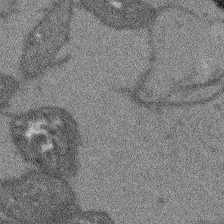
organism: Arabidopsis thaliana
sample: Root tip